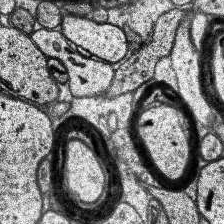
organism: Human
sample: Temporal Lobe